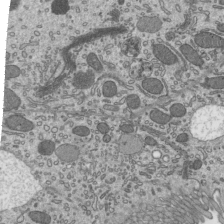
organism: Mouse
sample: Mouse epididymis efferent ductule cilia